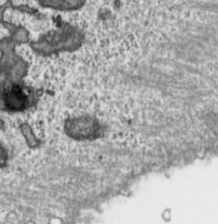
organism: Toxoplasma gondii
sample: Parasites in a vacuole inside a host cell